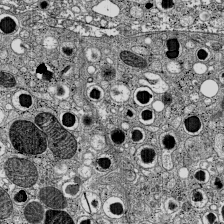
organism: C57BL Mouse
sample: Pancreatic islet